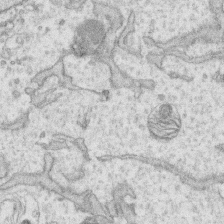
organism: Human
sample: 1205lu cells